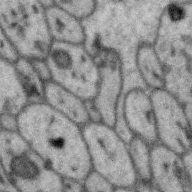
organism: Zebra finch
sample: Brain